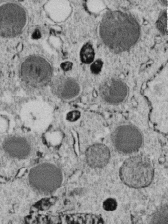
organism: C. elegans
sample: C. elegans embryo early stage